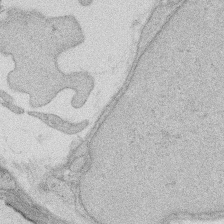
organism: Rat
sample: Salivary granule